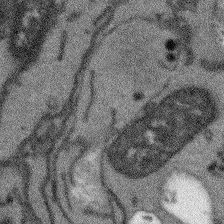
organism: Arabidopsis thaliana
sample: Root tip